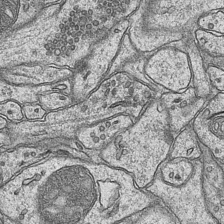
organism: Mouse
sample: CA1 Hippocampus